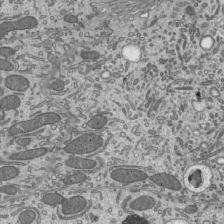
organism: Mouse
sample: Mouse epididymis efferent ductule cilia